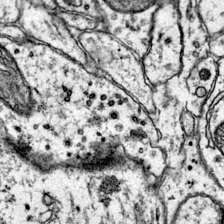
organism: Mouse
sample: Primary visual cortex